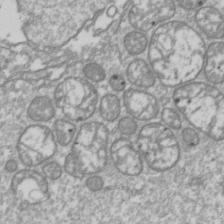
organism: Drosophila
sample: Cell division; meiosis; drosophila spermatocytes